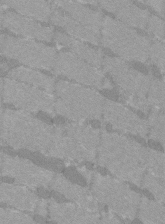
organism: C57BL Mouse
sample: Tibialis anterior muscle cell